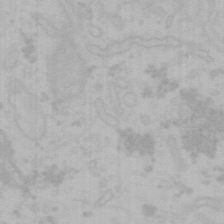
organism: Mouse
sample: Choroid plexus